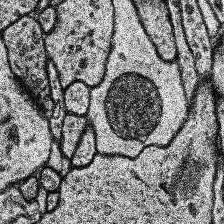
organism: Human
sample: Temporal Lobe